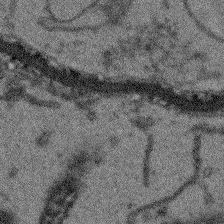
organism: Arabidopsis thaliana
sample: Root tip